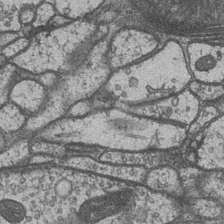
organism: Drosophila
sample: Optic medulla